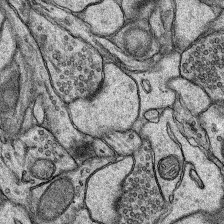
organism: Rat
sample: Hippocampus